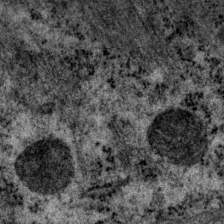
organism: P. pacificus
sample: Pharynx